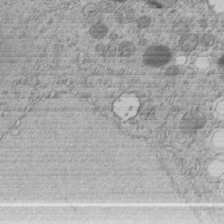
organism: C. elegans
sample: C. elegans embryo early stage